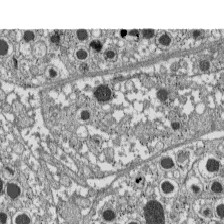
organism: C57BL Mouse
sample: Pancreatic islet